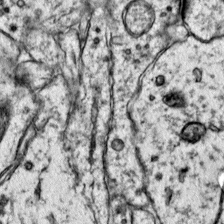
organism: Mouse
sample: Primary visual cortex